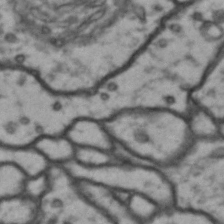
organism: Drosophila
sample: Brain